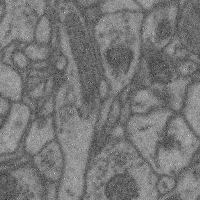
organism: Mouse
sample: Cerebral cortex